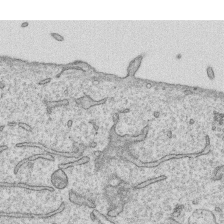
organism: Human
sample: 1205lu cells